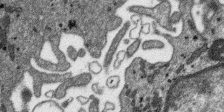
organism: Human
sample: Lung epithelial cells infected with SARS-CoV-2